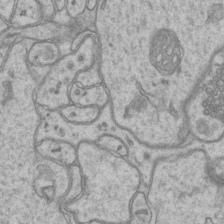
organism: Mouse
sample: CA1 Hippocampus